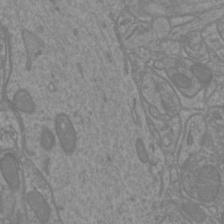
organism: Mouse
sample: Cortical neurons